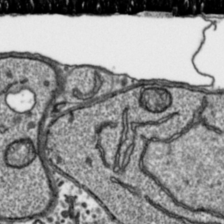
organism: Toxoplasma gondii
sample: Parasites in a vacuole inside a host cell